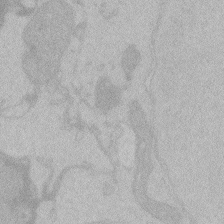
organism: Zebrafish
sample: Macrophage infected with Toxoplasma gondii